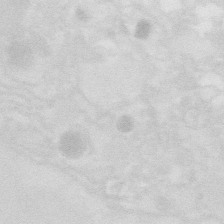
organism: Human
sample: HeLa cells